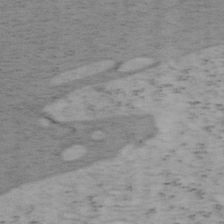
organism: Mouse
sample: OT-I killer T cells with ID8 ovarian cancer cells